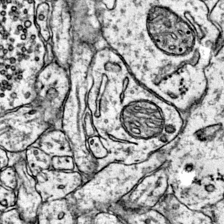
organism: Mouse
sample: Primary visual cortex